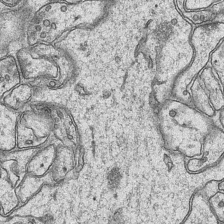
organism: Mouse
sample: CA1 Hippocampus